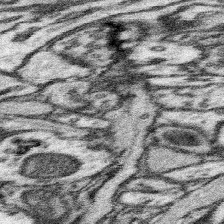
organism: Mouse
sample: Somatosensory cortex neuropil